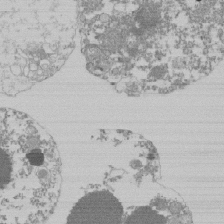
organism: Mouse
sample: Activated Pmel transgenic CD8+ T Cells